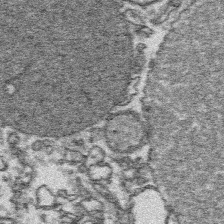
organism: Platynereis dumerilii